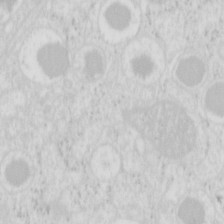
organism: Mouse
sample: Pancreas